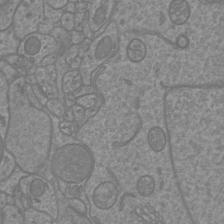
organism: Mouse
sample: Cortical neurons